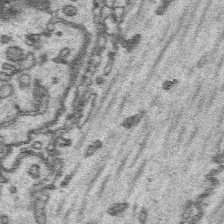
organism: Platynereis dumerilii